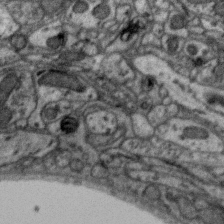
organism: Zebra finch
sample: Brain